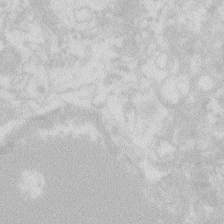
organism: Zebrafish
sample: Macrophage